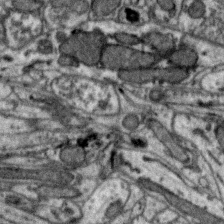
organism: Zebra finch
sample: Brain